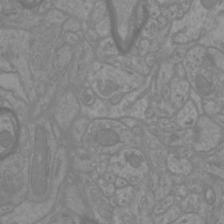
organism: Mouse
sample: Cortical neurons